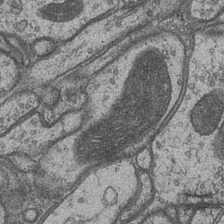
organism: Drosophila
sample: Optic medulla